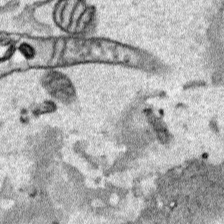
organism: Human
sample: Mitochondria in HCT116 cells